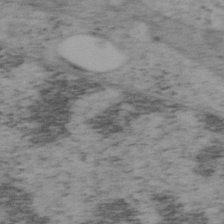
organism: Mouse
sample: OT-I killer T cells with ID8 ovarian cancer cells